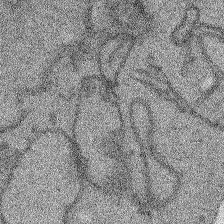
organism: Human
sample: HeLa cells